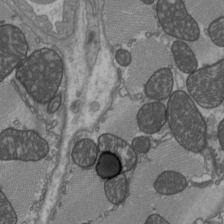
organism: C57BL Mouse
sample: Heart